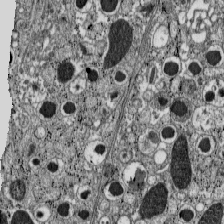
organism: C57BL Mouse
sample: Pancreatic islet